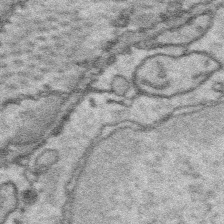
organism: Platynereis dumerilii